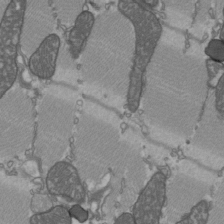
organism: C57BL Mouse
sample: Heart